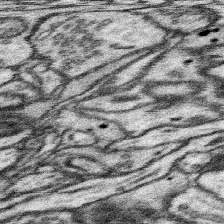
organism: Mouse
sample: Somatosensory cortex neuropil